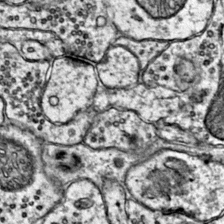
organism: Mouse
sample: Primary visual cortex